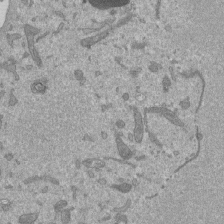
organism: Mouse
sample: ED-1 cell nuclei; centrioles